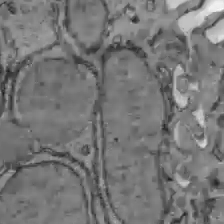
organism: C57BL Mouse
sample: Liver